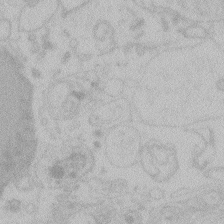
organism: Zebrafish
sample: Macrophage infected with Toxoplasma gondii